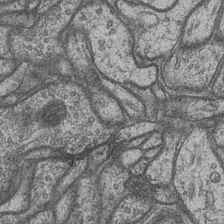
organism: Drosophila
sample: Optic medulla